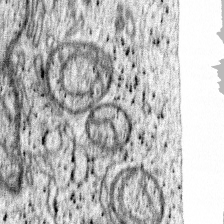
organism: Human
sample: HeLa cells